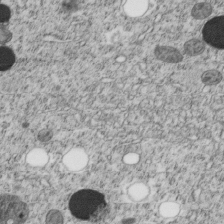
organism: C. elegans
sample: C. elegans embryo early stage